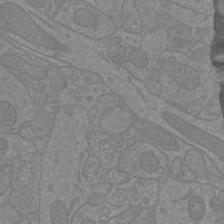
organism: Mouse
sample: Cortical neurons